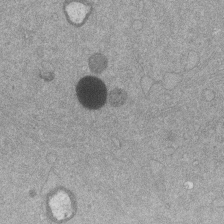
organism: Mouse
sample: Dividing mouse embryo 1 cell stage